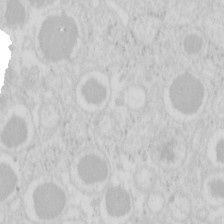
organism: Mouse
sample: Pancreas